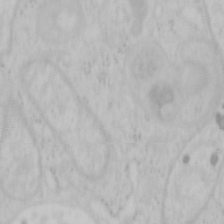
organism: Mouse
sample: OT-I killer T cells with ID8 ovarian cancer cells